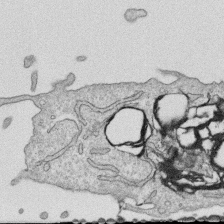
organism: Human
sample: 1205lu cells